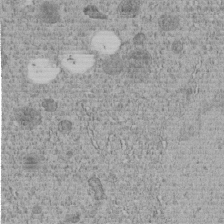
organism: C. elegans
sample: C. elegans embryo early stage